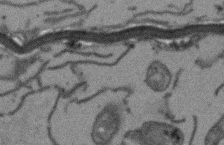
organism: Arabidopsis thaliana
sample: Root tip